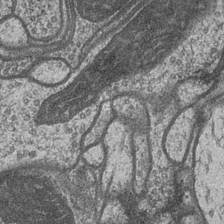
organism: Drosophila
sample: Optic medulla